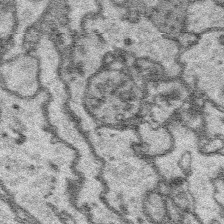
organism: Platynereis dumerilii